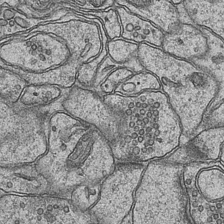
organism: Mouse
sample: CA1 Hippocampus